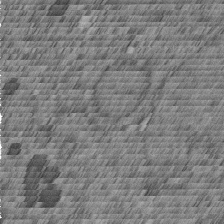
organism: C. elegans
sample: C. elegans embryo early stage